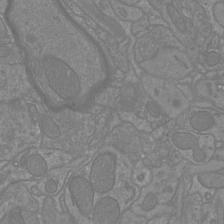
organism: Mouse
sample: Cortical neurons